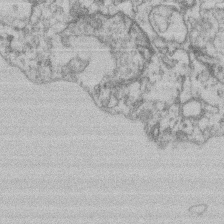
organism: Mouse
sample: T cell stromal cell synapse